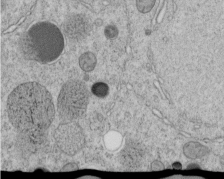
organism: C. elegans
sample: C. elegans embryo early stage